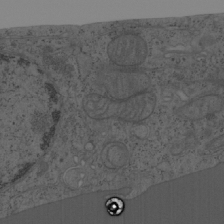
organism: Human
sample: HeLa cells